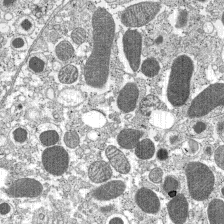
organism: C57BL Mouse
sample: Pancreatic islet